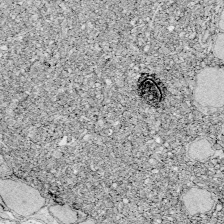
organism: Zebrafish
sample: Whole-Brain